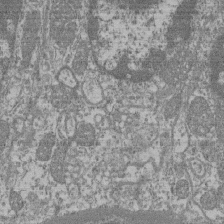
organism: Mouse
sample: Glomerulus